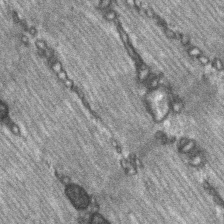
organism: C57BL Mouse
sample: Soleus